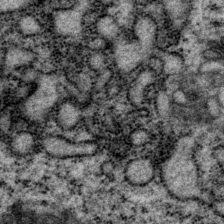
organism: P. pacificus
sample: Pharynx